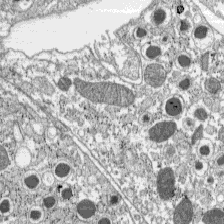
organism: C57BL Mouse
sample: Pancreatic islet